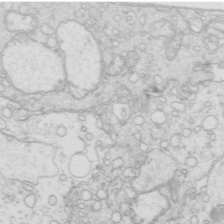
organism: Mouse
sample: Multiciliated cells